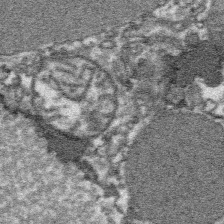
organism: Platynereis dumerilii